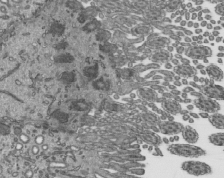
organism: Mouse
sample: Mouse epididymis efferent ductule cilia